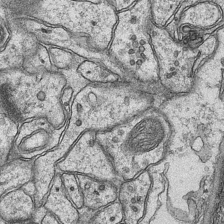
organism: Mouse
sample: CA1 Hippocampus